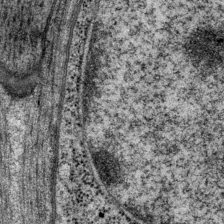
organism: P. pacificus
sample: Pharynx